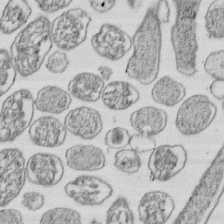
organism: E. coli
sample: Bacterial nucleoid